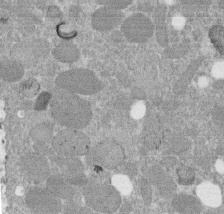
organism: C. elegans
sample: C. elegans embryo early stage